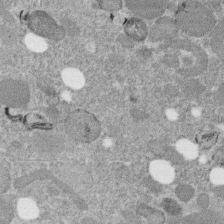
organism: C. elegans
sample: C. elegans embryo early stage